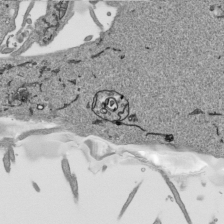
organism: Human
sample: Mitochondria in HCT116 cells